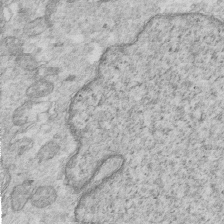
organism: Mouse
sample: Multiciliated cells